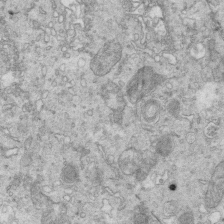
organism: Mouse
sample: Multiciliated cells